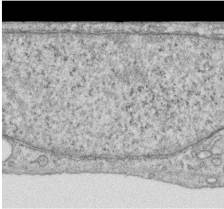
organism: Human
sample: Centriole in RPE cells